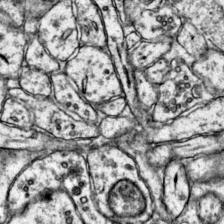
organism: Mouse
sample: Primary visual cortex